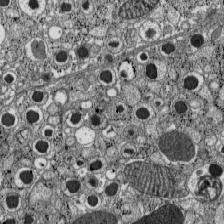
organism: C57BL Mouse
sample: Pancreatic islet